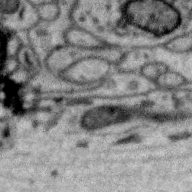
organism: Zebra finch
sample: Brain